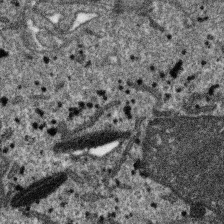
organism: Human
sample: Lung epithelial cells infected with SARS-CoV-2